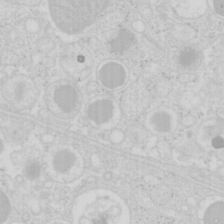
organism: Mouse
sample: Pancreas